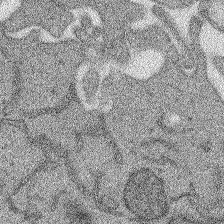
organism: Human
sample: HeLa cells